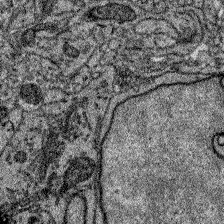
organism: Zebrafish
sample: Larval olfactory bulb